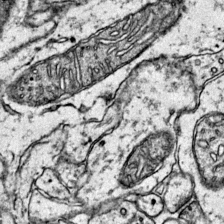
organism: Mouse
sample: Primary visual cortex